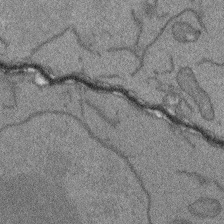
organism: Arabidopsis thaliana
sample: Root tip